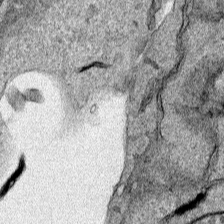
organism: Human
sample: Mitochondria in HCT116 cells